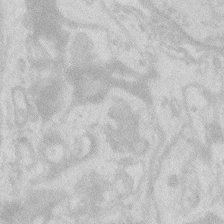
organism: Zebrafish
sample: Macrophage